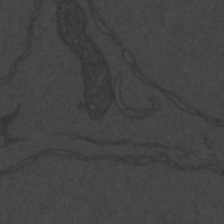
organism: Zebrafish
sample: Macrophage infected with Toxoplasma gondii